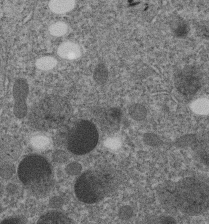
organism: C. elegans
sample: C. elegans embryo early stage